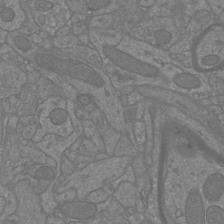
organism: Mouse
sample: Cortical neurons